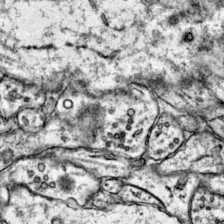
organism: Mouse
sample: Primary visual cortex